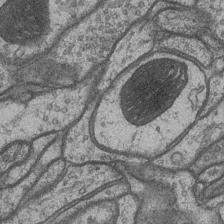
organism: Drosophila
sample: Optic medulla